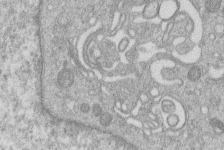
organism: Human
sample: Macrophage cells